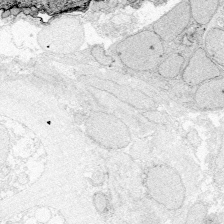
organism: Zebrafish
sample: Whole-Brain